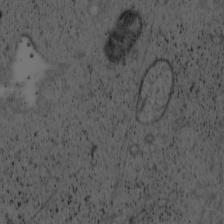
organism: African green monkey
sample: COS-7 cells